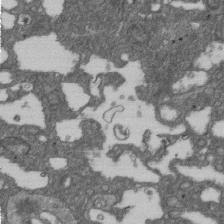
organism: Drosophila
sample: Nephrocyte